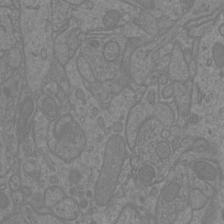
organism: Mouse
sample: Cortical neurons